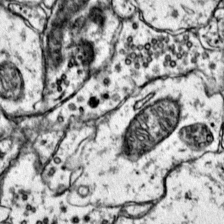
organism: Mouse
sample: Primary visual cortex